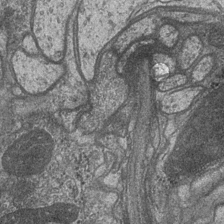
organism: Drosophila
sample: Optic medulla